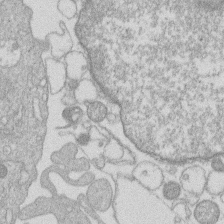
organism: Human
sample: Macrophage cells